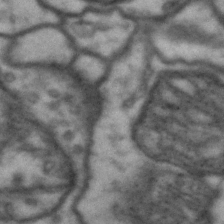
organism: Drosophila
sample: Brain